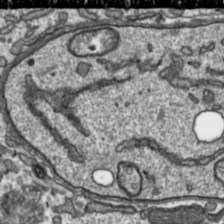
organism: Toxoplasma gondii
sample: Parasites in a vacuole inside a host cell